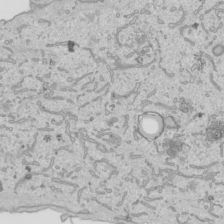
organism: Human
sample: Mitochondria in HCT116 cells